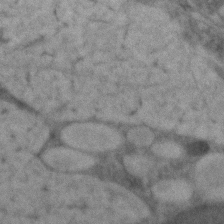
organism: Zebrafish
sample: Zebrafish embryo